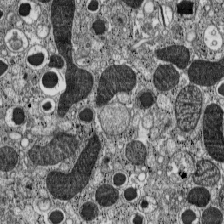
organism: C57BL Mouse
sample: Pancreatic islet